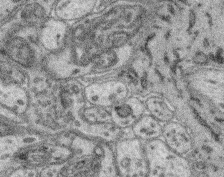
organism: Mouse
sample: Retina